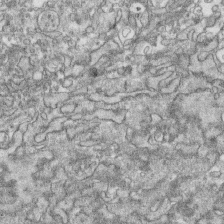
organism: Human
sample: CRL-1474